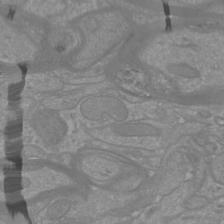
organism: Mouse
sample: Cortical neurons